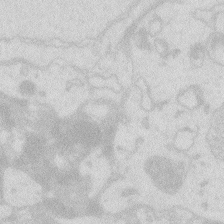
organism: Zebrafish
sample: Macrophage